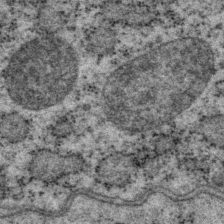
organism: P. pacificus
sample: Pharynx